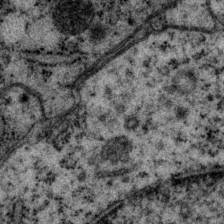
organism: P. pacificus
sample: Pharynx